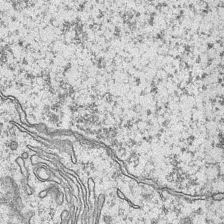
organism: Mouse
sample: CA1 Hippocampus